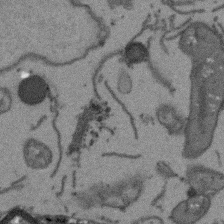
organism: Arabidopsis thaliana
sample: Root tip